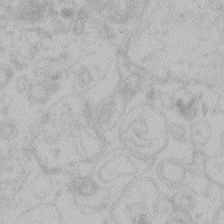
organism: Zebrafish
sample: Macrophage infected with Toxoplasma gondii